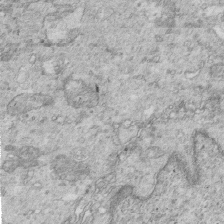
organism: Mouse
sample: Multiciliated cells